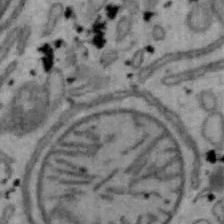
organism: Mouse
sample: Liver